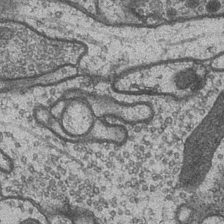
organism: Drosophila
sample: Optic medulla